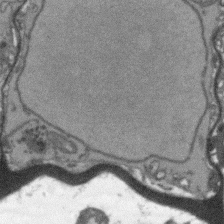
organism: Arabidopsis thaliana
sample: Root tip